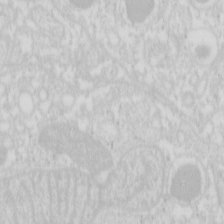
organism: Mouse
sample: Pancreas